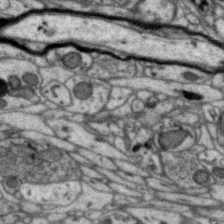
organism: Zebra finch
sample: Brain